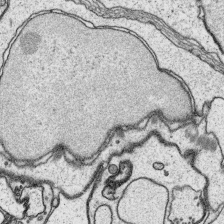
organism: Platynereis dumerilii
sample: Parapodia